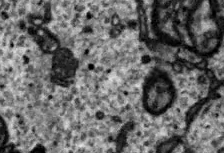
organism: Human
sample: HeLa cells